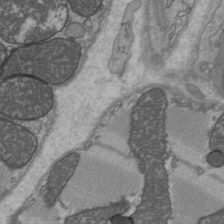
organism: C57BL Mouse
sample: Heart